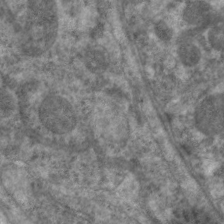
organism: C. elegans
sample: Pharynx